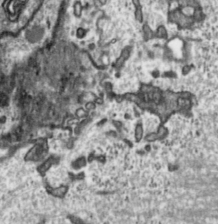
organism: Toxoplasma gondii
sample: Parasites in a vacuole inside a host cell